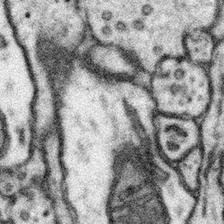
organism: Mouse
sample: Somatosensory cortex neuropil